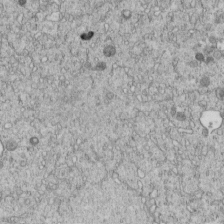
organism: C. elegans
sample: C. elegans embryo early stage